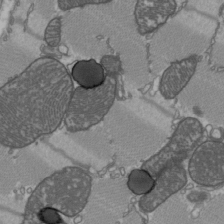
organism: C57BL Mouse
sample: Heart